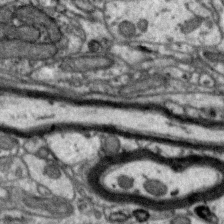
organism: Zebra finch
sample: Brain